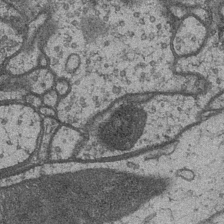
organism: Drosophila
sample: Optic medulla